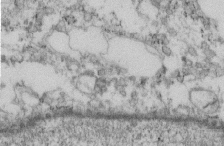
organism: Mouse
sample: Cilia; retinal pigment epithelium